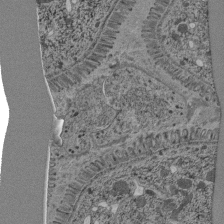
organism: C. elegans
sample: C. elegans pharynx